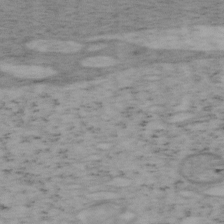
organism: Mouse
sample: OT-I killer T cells with ID8 ovarian cancer cells